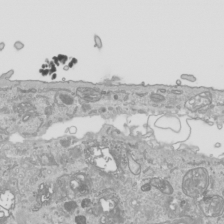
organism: Human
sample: Mitochondria in HCT116 cells